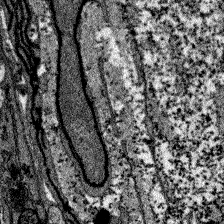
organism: Zebrafish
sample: Larval olfactory bulb